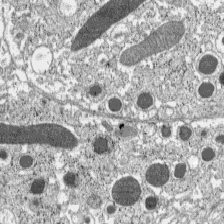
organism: C57BL Mouse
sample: Pancreatic islet